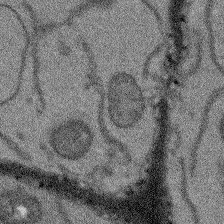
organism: Arabidopsis thaliana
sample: Root tip